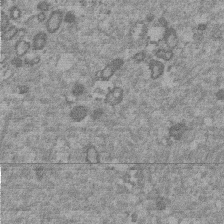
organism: Mouse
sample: Dividing mouse embryo 1 cell stage